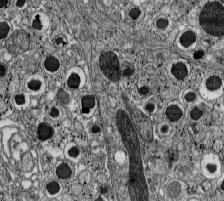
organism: C57BL Mouse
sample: Pancreatic islet